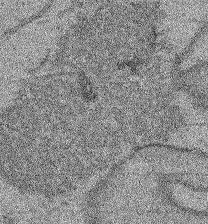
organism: Human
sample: HeLa cells